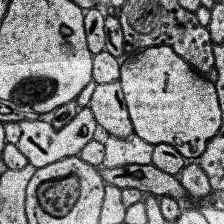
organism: Human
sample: Temporal Lobe